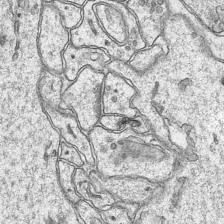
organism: Mouse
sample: CA1 Hippocampus